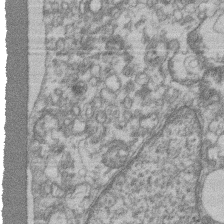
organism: Mouse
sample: T cell stromal cell synapse